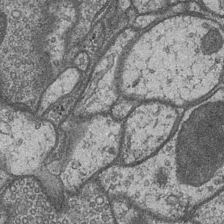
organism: Drosophila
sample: Optic medulla